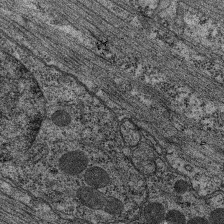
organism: C. elegans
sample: Pharynx